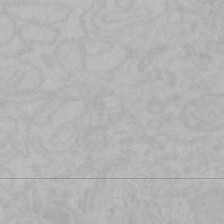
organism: Mouse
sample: Choroid plexus